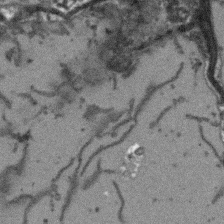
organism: Arabidopsis thaliana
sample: Root tip